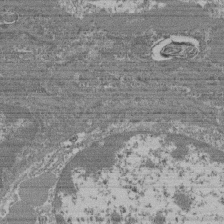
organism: Mouse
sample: Glomerulus